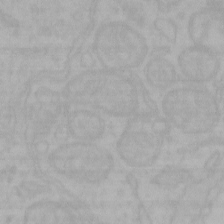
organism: Mouse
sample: Choroid plexus